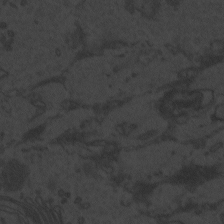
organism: Zebrafish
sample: Macrophage infected with Toxoplasma gondii